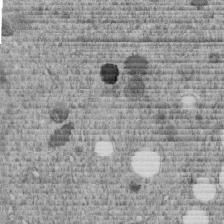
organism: C. elegans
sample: C. elegans embryo early stage